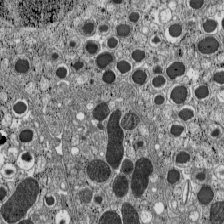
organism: C57BL Mouse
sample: Pancreatic islet